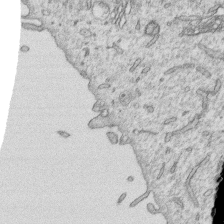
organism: Human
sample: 1205lu cells